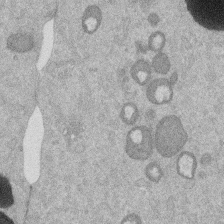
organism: Mouse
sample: Dividing mouse embryo 1 cell stage